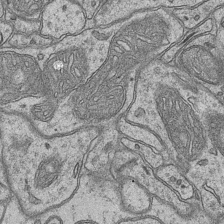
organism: Mouse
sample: CA1 Hippocampus